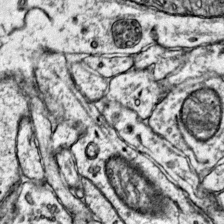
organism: Mouse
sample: Primary visual cortex